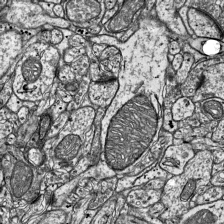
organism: Mouse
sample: Visual Cortex